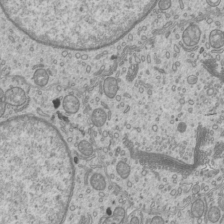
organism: Mouse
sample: Cilia; mouse epididymis